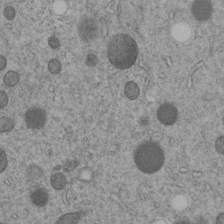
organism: C. elegans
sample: C. elegans embryo early stage